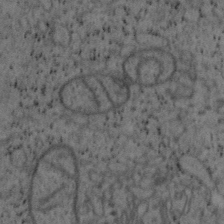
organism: Human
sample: HeLa cells